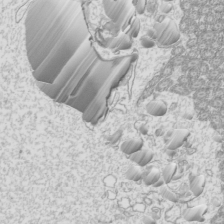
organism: Mouse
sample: Cilia; mouse epididymis